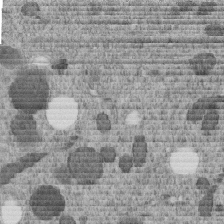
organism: C. elegans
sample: C. elegans embryo early stage